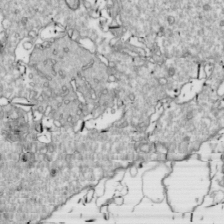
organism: Drosophila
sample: Cell division; meiosis; drosophila spermatocytes